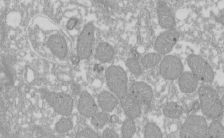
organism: Xenopus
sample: Cilia; centrioles in frog embryo cells